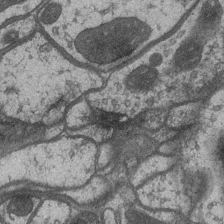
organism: Drosophila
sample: Optic medulla